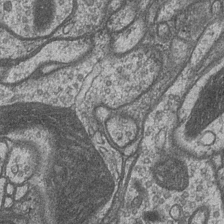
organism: Drosophila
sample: Optic medulla